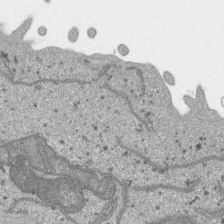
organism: Human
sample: Lung epithelial cells infected with SARS-CoV-2